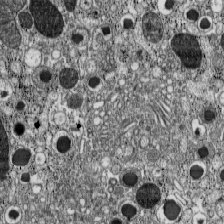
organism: C57BL Mouse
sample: Pancreatic islet